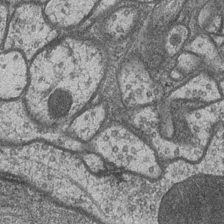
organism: Drosophila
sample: Optic medulla